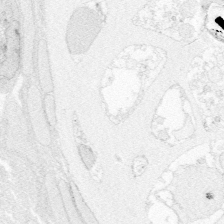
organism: Zebrafish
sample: Whole-Brain